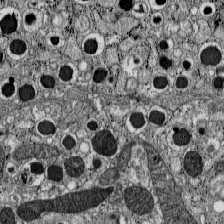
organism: C57BL Mouse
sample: Pancreatic islet